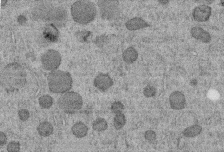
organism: C. elegans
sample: C. elegans embryo early stage